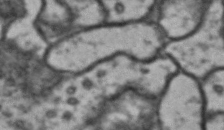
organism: Drosophila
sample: Brain